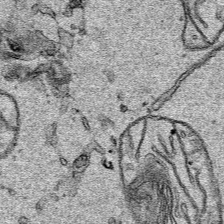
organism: Human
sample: Mitochondria in HCT116 cells